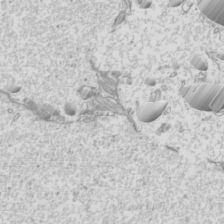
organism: Mouse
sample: Cilia; mouse epididymis